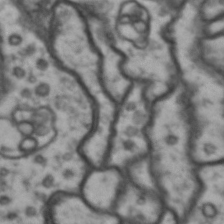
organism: Drosophila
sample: Brain